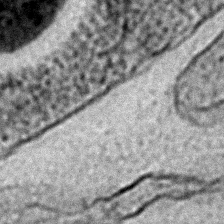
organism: C. elegans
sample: C. elegans embryo